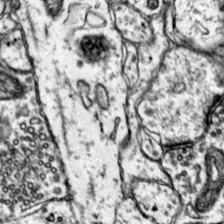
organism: Mouse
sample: Primary visual cortex